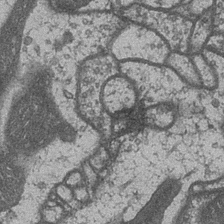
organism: Drosophila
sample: Optic medulla